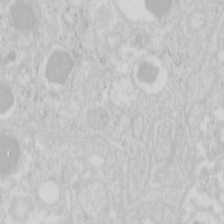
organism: Mouse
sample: Pancreas